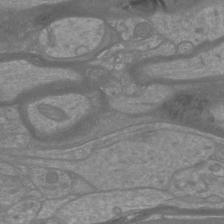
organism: Mouse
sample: Cortical neurons